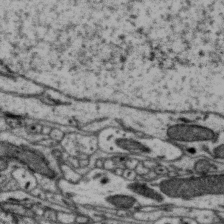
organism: Zebra finch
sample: Brain